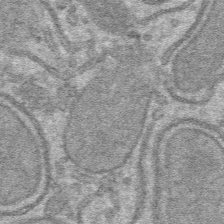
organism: Mouse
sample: Mouse hepatocytes